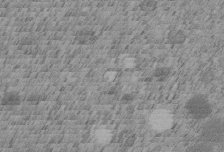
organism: C. elegans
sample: C. elegans embryo early stage